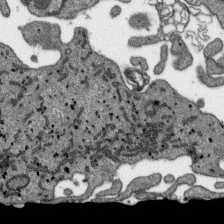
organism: Human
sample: Lung epithelial cells, uninfected (mock) control